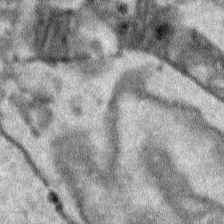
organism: Human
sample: Mitochondria in HCT116 cells